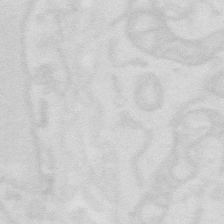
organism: Human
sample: HeLa cells